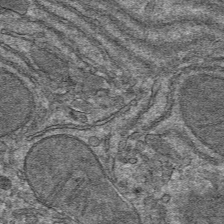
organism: Mouse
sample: Mouse hepatocytes